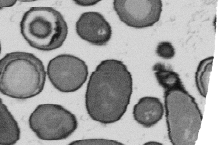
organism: B. subtilis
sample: Bacterial spore